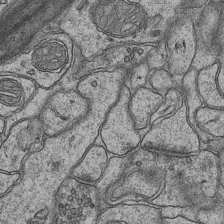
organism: Mouse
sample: CA1 Hippocampus